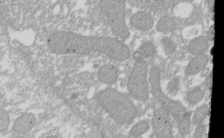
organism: Xenopus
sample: Cilia; centrioles in frog embryo cells